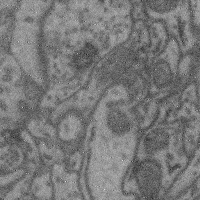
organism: Mouse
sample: Cerebral cortex